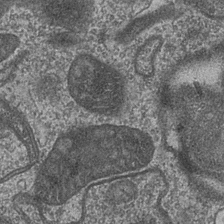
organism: Drosophila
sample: Optic medulla